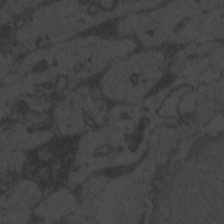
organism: Zebrafish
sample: Macrophage infected with Toxoplasma gondii